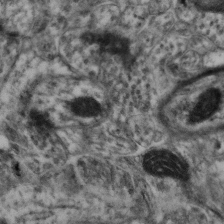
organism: Mouse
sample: Neocortex